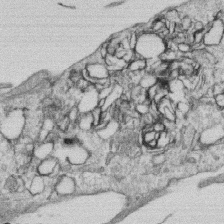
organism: Human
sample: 1205lu cells